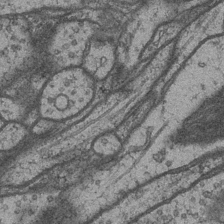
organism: Drosophila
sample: Optic medulla